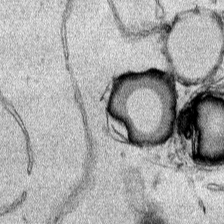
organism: Human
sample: Mitochondria in HCT116 cells